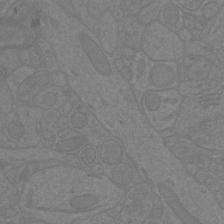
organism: Mouse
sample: Cortical neurons